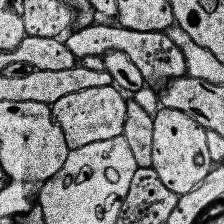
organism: Human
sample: Temporal Lobe